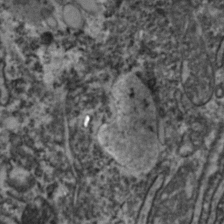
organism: Zebrafish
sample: Zebrafish embryo